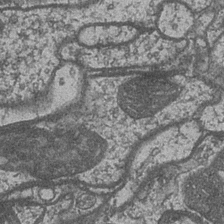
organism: Drosophila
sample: Optic medulla